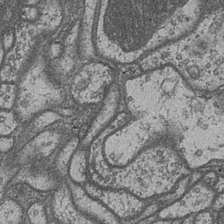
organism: Drosophila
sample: Optic medulla